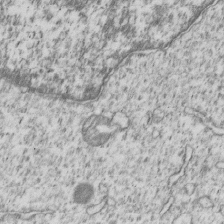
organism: Human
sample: MDA-MB-231 cells